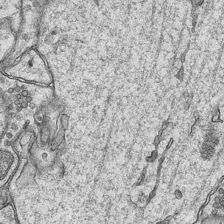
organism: Mouse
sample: CA1 Hippocampus